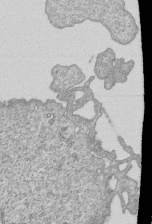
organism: Human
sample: MDA-MB-231 cells